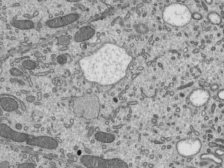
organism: Mouse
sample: Mouse epididymis efferent ductule cilia